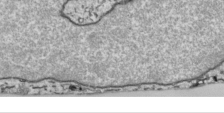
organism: Human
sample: Mitochondria in HCT116 cells